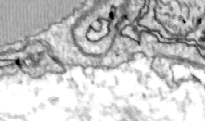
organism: Zebrafish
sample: Actinotrichia fibers